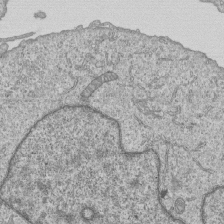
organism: Human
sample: MDA-MB-231 cells